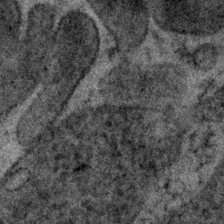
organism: Human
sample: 1205lu cells